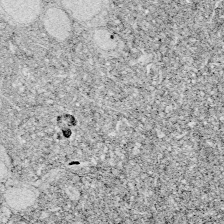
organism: Zebrafish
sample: Whole-Brain